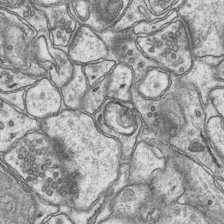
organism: Mouse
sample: CA1 Hippocampus